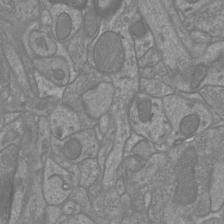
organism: Mouse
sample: Cortical neurons